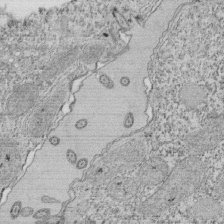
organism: Tetrahymena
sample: Cilia in tetrahymena